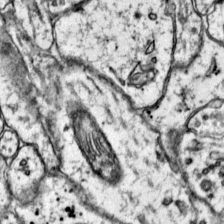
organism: Mouse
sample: Primary visual cortex